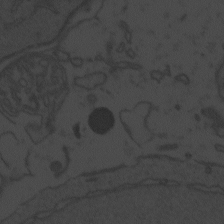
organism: Zebrafish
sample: Macrophage infected with Toxoplasma gondii